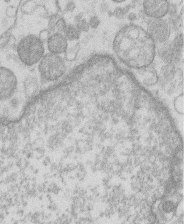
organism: Human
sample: Macrophage cells